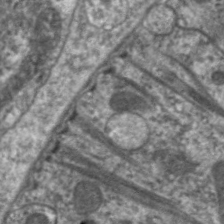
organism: C. elegans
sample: Pharynx